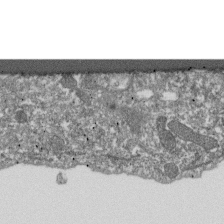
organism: Dictyostelium discoideum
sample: Dictyostelium multivesicular bodies